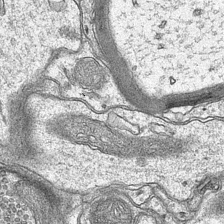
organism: Mouse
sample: CA1 Hippocampus